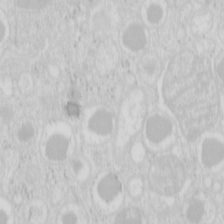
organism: Mouse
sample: Pancreas